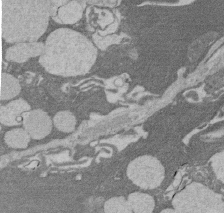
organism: Rat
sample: Salivary granule